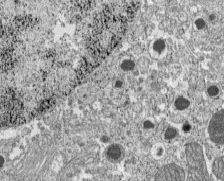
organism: C57BL Mouse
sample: Pancreatic islet